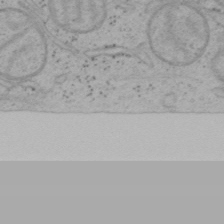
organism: Human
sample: HeLa cells